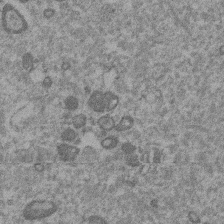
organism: Mouse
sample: Dividing mouse embryo 1 cell stage